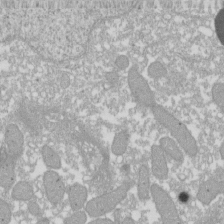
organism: Xenopus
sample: Cilia; centrioles in frog embryo cells